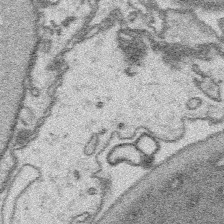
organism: Platynereis dumerilii